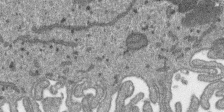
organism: Human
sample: Lung epithelial cells infected with SARS-CoV-2